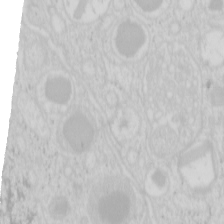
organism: Mouse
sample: Pancreas